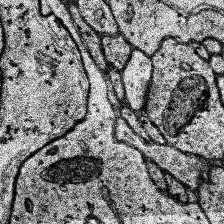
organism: Human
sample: Temporal Lobe